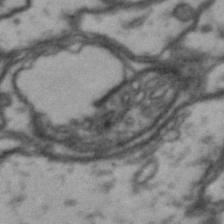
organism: Drosophila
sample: Brain